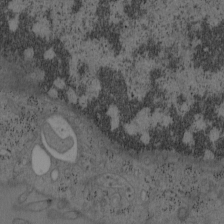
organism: Mouse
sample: OT-I killer T cells with ID8 ovarian cancer cells